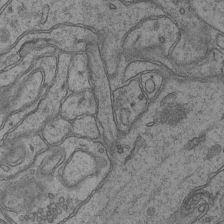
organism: Mouse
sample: CA1 Hippocampus